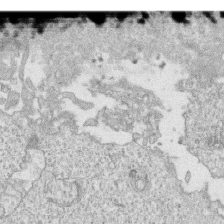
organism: Human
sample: HeLa cell HIV synapse